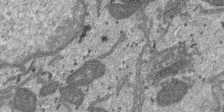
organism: Human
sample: Lung epithelial cells infected with SARS-CoV-2